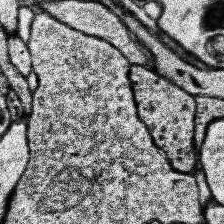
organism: Human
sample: Temporal Lobe